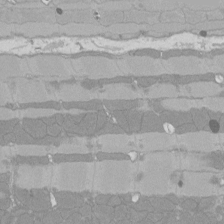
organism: Rat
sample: Left ventricle